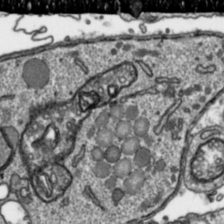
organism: Toxoplasma gondii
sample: Parasites in a vacuole inside a host cell